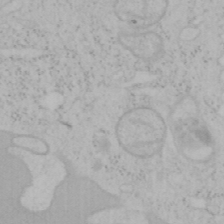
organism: Mouse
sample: OT-I killer T cells with ID8 ovarian cancer cells